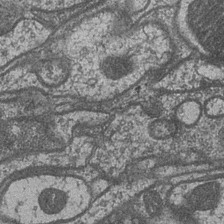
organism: Drosophila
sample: Optic medulla